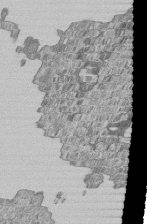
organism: Human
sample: MDA-MB-231 cells